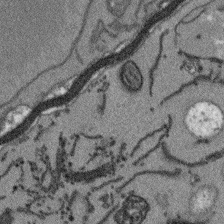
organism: Arabidopsis thaliana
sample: Root tip